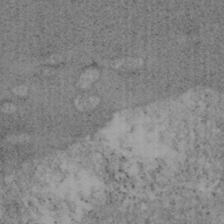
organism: Mouse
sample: OT-I killer T cells with ID8 ovarian cancer cells